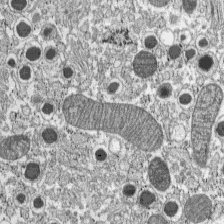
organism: C57BL Mouse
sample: Pancreatic islet